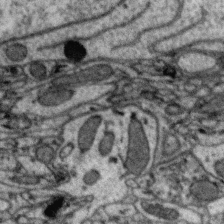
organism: Zebra finch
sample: Brain